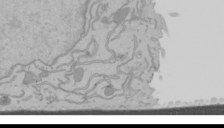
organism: Mouse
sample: Cancer cell death in ED-1 cells